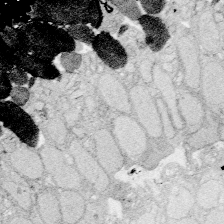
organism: Zebrafish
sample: Whole-Brain